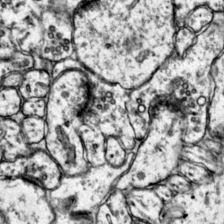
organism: Mouse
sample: Primary visual cortex